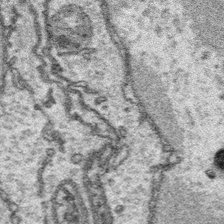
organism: Platynereis dumerilii